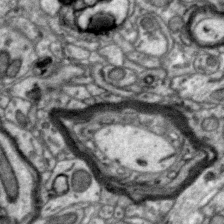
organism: Zebra finch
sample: Brain